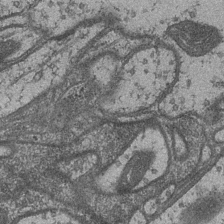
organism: Drosophila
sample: Optic medulla